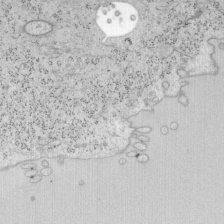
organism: Mouse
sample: OT-I killer T cells with ID8 ovarian cancer cells